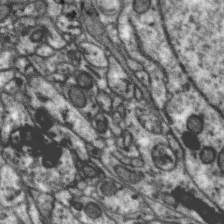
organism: Zebra finch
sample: Brain